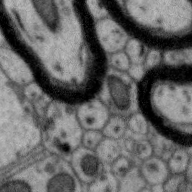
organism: Zebra finch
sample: Brain